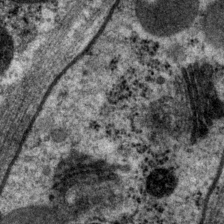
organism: P. pacificus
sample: Pharynx